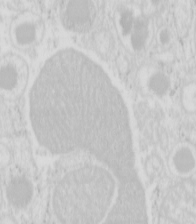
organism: Mouse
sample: Pancreas